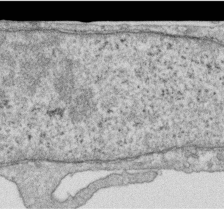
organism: Human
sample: Centriole in RPE cells